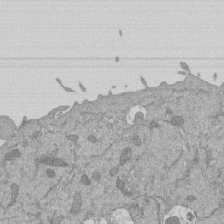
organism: Mouse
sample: ED-1 cell nuclei; centrioles